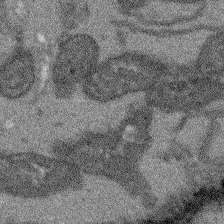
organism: Arabidopsis thaliana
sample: Root tip